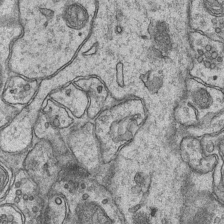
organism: Mouse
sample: CA1 Hippocampus